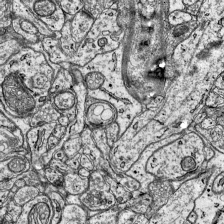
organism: Mouse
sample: Visual Cortex